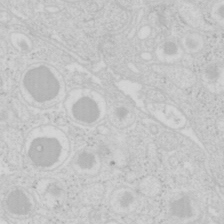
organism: Mouse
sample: Pancreas